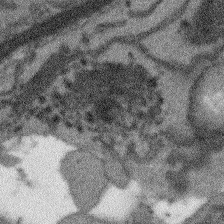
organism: Arabidopsis thaliana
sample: Root tip